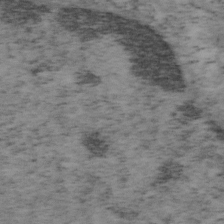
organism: Mouse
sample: OT-I killer T cells with ID8 ovarian cancer cells